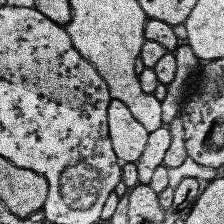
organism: Human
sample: Temporal Lobe